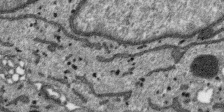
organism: Human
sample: Lung epithelial cells, uninfected (mock) control